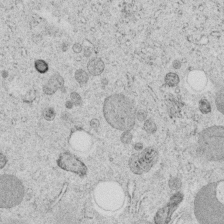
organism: C. elegans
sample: C. elegans embryo early stage